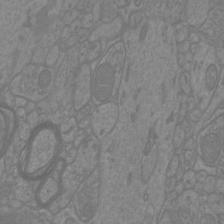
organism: Mouse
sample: Cortical neurons